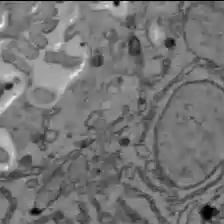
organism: C57BL Mouse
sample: Liver